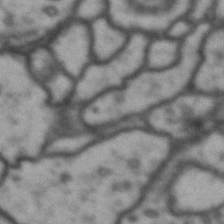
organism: Drosophila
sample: Brain